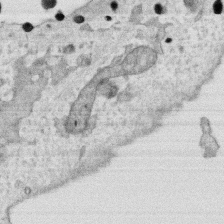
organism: Human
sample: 1205lu cells